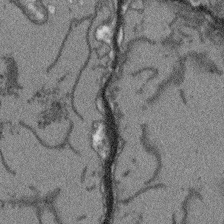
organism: Arabidopsis thaliana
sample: Root tip